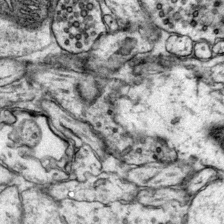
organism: Mouse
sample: Primary visual cortex